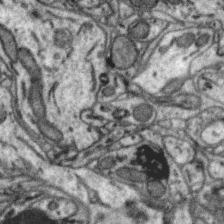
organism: Zebra finch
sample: Brain